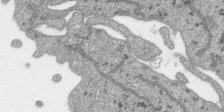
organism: Human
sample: Lung epithelial cells infected with SARS-CoV-2